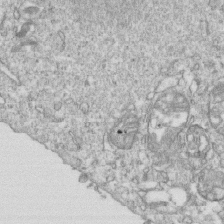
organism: Mouse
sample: Activated OT-1 CD8+ T cells